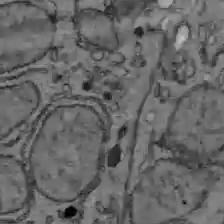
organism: C57BL Mouse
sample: Liver